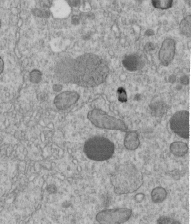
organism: C. elegans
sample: C. elegans embryo early stage